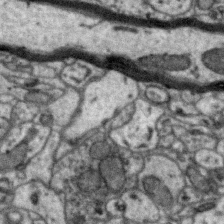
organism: Zebra finch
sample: Brain